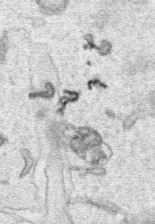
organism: Human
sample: Mitochondria in HCT116 cells